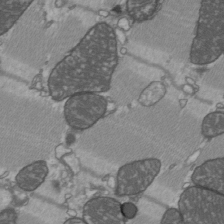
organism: C57BL Mouse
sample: Heart